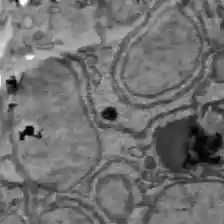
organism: C57BL Mouse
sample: Liver